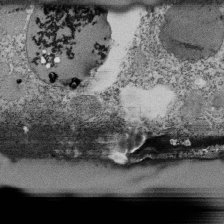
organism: Tetrahymena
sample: Cilia in tetrahymena